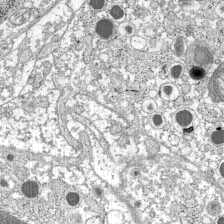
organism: C57BL Mouse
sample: Pancreatic islet